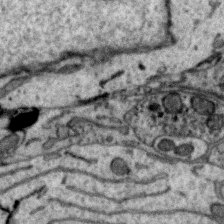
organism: Zebra finch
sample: Brain